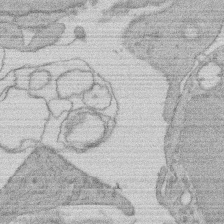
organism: Rat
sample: Salivary granule